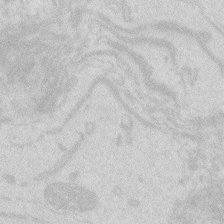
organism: Zebrafish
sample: Macrophage